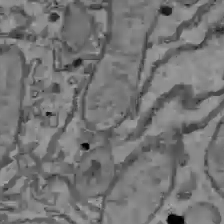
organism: C57BL Mouse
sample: Liver